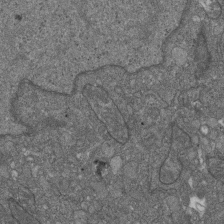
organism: Drosophila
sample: Nephrocyte